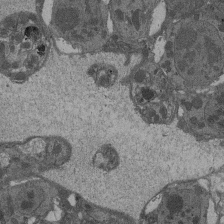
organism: Drosophila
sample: Antenna